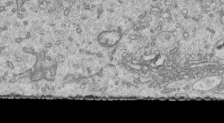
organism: Human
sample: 1205lu cells